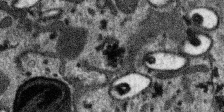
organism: Human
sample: Lung epithelial cells infected with SARS-CoV-2